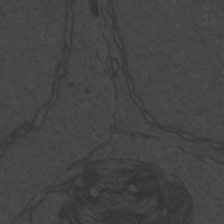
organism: Zebrafish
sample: Macrophage infected with Toxoplasma gondii